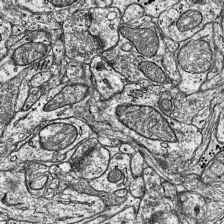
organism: Mouse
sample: Visual Cortex